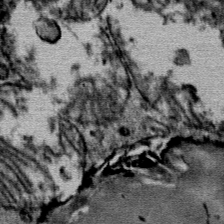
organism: Mouse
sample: Mouse Salivary gland